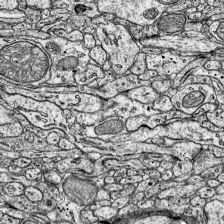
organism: Mouse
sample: Visual Cortex